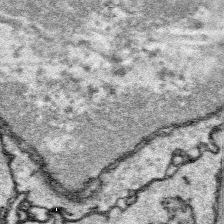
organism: Platynereis dumerilii